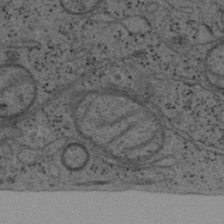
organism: Human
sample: HeLa cells